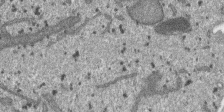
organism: Human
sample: Lung epithelial cells infected with SARS-CoV-2